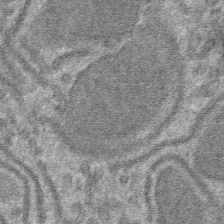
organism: Mouse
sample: Mouse hepatocytes